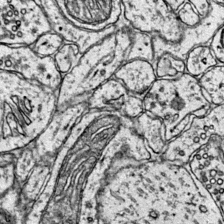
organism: Mouse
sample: Primary visual cortex